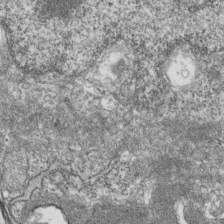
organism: Zebrafish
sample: Cilia; retinal pigment epithelium